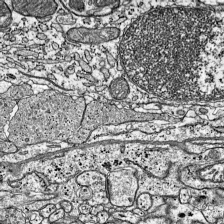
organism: Mouse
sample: Visual Cortex